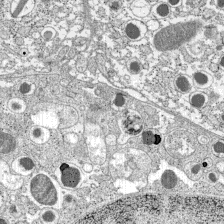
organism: C57BL Mouse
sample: Pancreatic islet